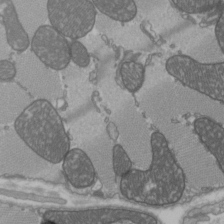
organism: C57BL Mouse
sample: Heart